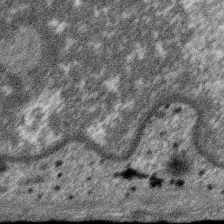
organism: Human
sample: Lung epithelial cells infected with SARS-CoV-2